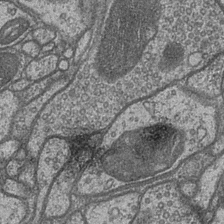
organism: Drosophila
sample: Optic medulla